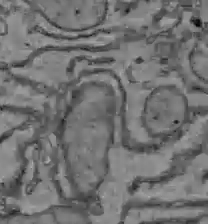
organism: C57BL Mouse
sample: Liver